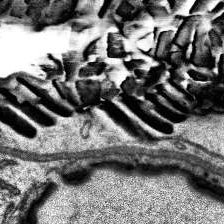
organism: Human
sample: Temporal Lobe